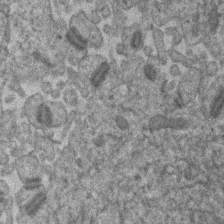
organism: Human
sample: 1205lu cells